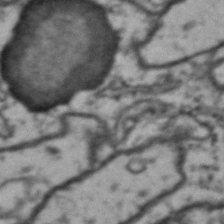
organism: Drosophila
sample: Brain